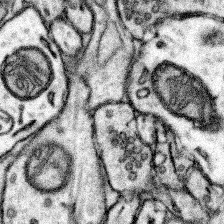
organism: Mouse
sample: Somatosensory cortex neuropil